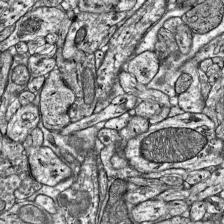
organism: Mouse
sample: Visual Cortex